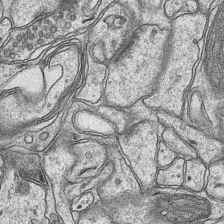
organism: Mouse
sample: CA1 Hippocampus